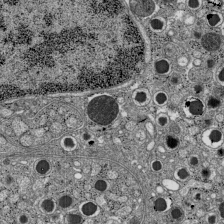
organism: C57BL Mouse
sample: Pancreatic islet